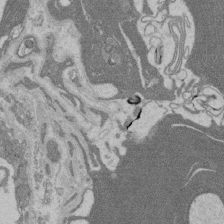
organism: Rat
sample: Salivary granule